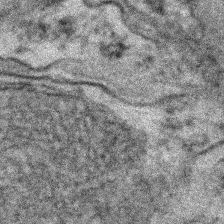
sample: Kidney